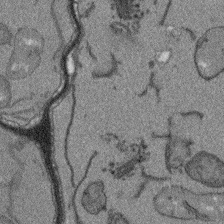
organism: Arabidopsis thaliana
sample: Root tip